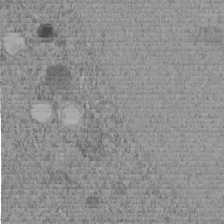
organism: C. elegans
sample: C. elegans embryo early stage